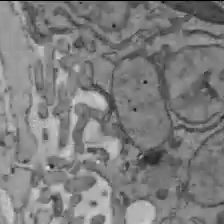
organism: C57BL Mouse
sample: Liver